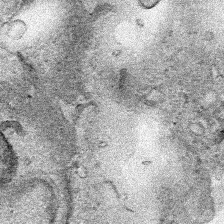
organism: Human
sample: Mitochondria in HCT116 cells